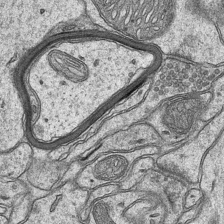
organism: Mouse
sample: CA1 Hippocampus